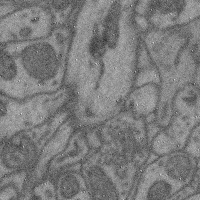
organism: Mouse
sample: Cerebral cortex